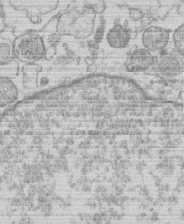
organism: Human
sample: Macrophage cells